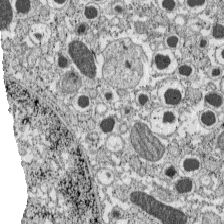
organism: C57BL Mouse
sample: Pancreatic islet